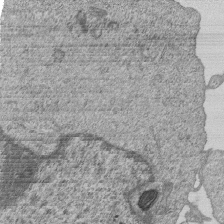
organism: Human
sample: MDA-MB-231 cells